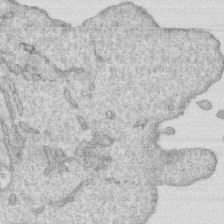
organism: Human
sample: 1205lu cells